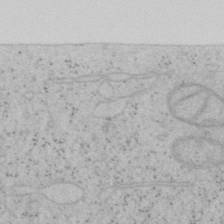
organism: Human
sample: HeLa cells